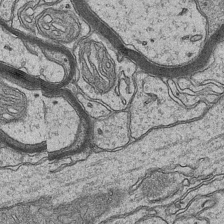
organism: Mouse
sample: CA1 Hippocampus